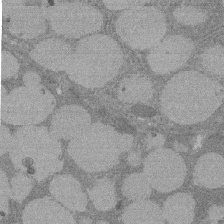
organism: Rat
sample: Salivary granule